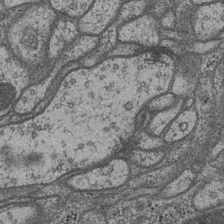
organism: Drosophila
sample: Optic medulla